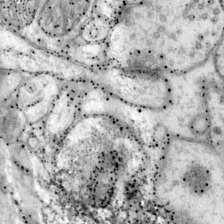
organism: Mouse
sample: Primary visual cortex